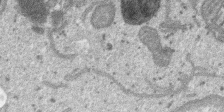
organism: Human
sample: Lung epithelial cells infected with SARS-CoV-2